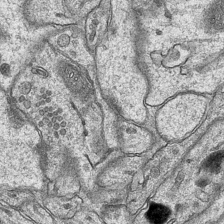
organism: Mouse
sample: CA1 Hippocampus